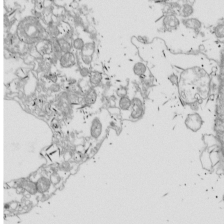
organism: Drosophila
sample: Cell division; meiosis; drosophila spermatocytes